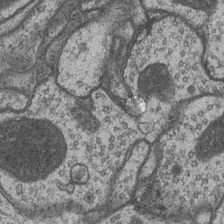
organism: Drosophila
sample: Optic medulla